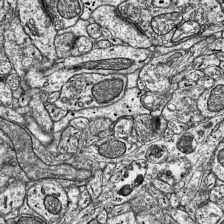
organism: Mouse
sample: Visual Cortex